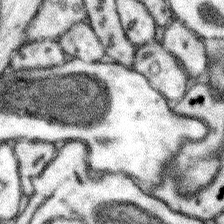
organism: Mouse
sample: Somatosensory cortex neuropil